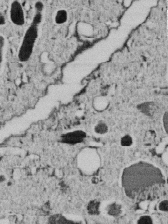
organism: C. elegans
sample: C. elegans embryo early stage